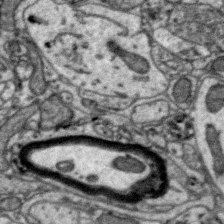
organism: Zebra finch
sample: Brain